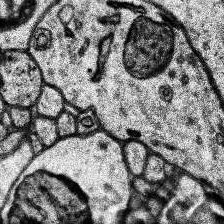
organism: Human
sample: Temporal Lobe